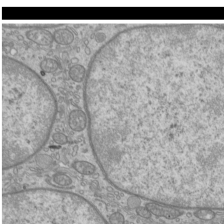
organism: Mouse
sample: Cilia; mouse epididymis